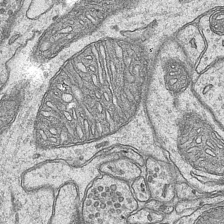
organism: Mouse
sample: CA1 Hippocampus